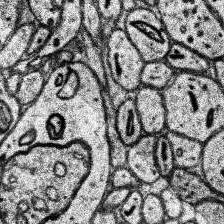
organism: Human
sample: Temporal Lobe